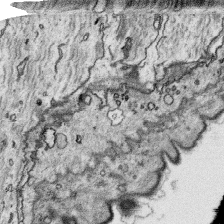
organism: Platynereis dumerilii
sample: Parapodia